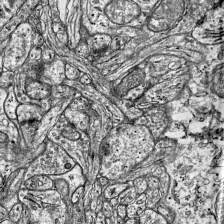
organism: Mouse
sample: Visual Cortex